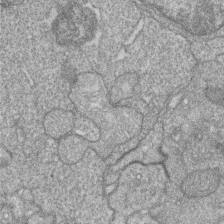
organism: Zebrafish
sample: Cilia; retinal pigment epithelium